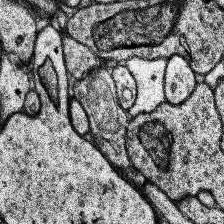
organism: Human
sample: Temporal Lobe